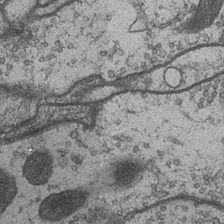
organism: Drosophila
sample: Optic medulla